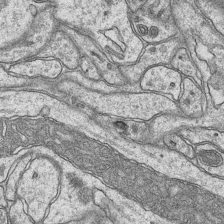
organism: Mouse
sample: CA1 Hippocampus